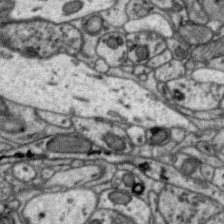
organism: Zebra finch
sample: Brain